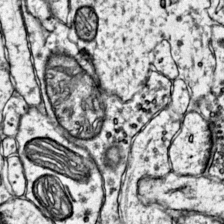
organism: Mouse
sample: Primary visual cortex